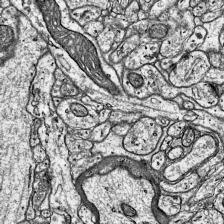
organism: Mouse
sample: Visual Cortex